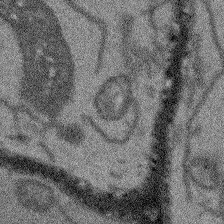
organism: Arabidopsis thaliana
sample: Root tip